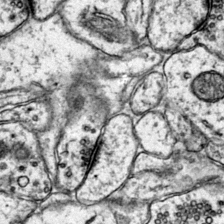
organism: Mouse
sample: Primary visual cortex